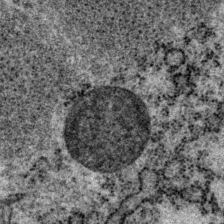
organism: P. pacificus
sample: Pharynx